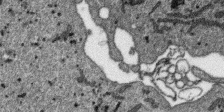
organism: Human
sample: Lung epithelial cells infected with SARS-CoV-2